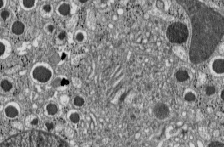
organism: C57BL Mouse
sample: Pancreatic islet